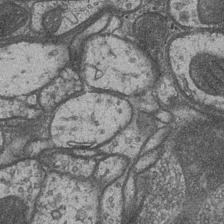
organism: Drosophila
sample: Optic medulla